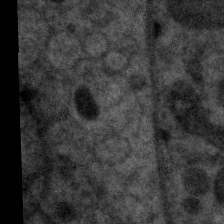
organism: C. elegans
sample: Pharynx